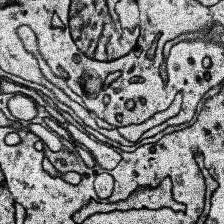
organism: Human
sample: Temporal Lobe